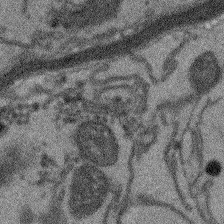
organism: Arabidopsis thaliana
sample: Root tip